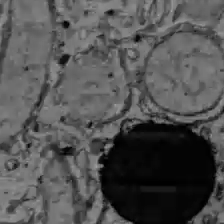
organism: C57BL Mouse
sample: Liver